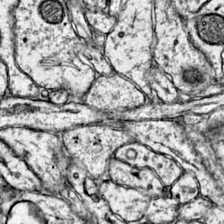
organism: Mouse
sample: Primary visual cortex